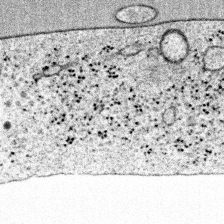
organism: Human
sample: HeLa cells